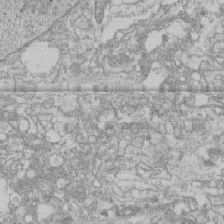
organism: Human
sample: CRL-1474